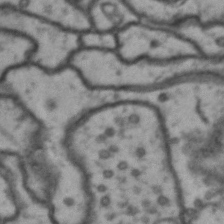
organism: Drosophila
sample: Brain